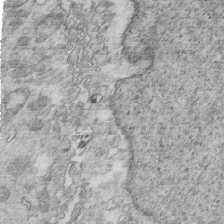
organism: Mouse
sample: Multiciliated cells